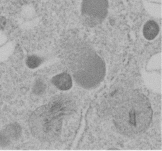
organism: C. elegans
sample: C. elegans embryo early stage